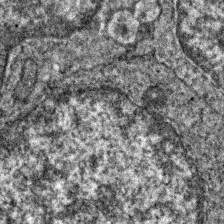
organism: Zebrafish